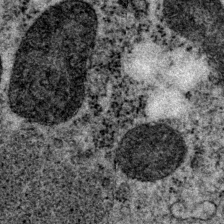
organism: P. pacificus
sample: Pharynx